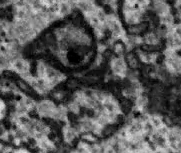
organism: Human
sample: HeLa cells